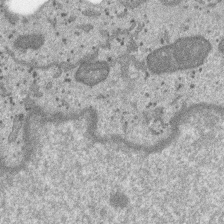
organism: Human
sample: Lung epithelial cells infected with SARS-CoV-2